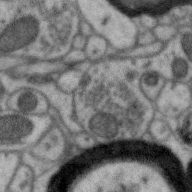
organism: Zebra finch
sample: Brain